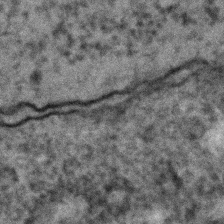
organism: C. elegans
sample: C. elegans embryo